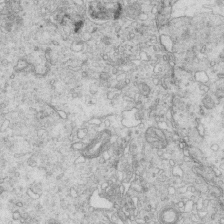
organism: Mouse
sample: Multiciliated cells